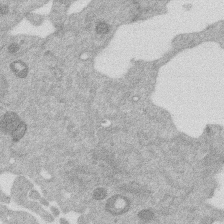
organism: Mouse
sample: Dividing mouse embryo 1 cell stage